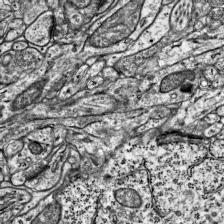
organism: Mouse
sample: Visual Cortex